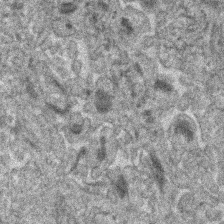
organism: Human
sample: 1205lu cells